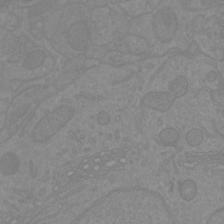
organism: Mouse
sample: Cortical neurons